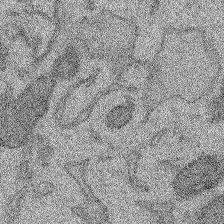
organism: Human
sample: HeLa cells